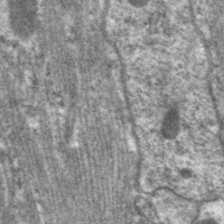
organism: C. elegans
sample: Pharynx